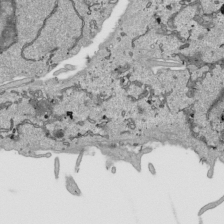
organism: Human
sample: Mitochondria in HCT116 cells